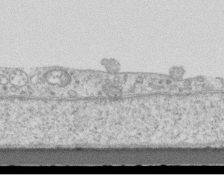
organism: Mouse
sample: Centriole in ependymal cells